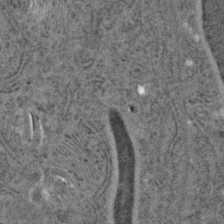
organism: C. elegans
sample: C. elegans embryo